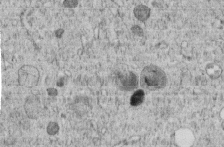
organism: C. elegans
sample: C. elegans embryo early stage